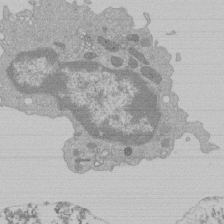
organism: Mouse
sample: Activated Pmel transgenic CD8+ T Cells